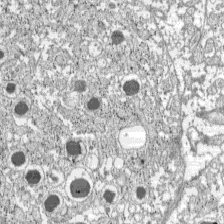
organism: C57BL Mouse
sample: Pancreatic islet